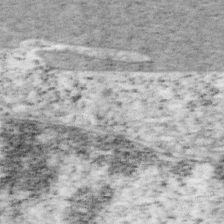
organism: Mouse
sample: OT-I killer T cells with ID8 ovarian cancer cells